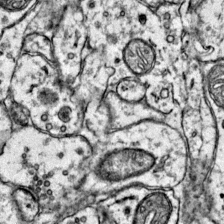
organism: Mouse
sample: Primary visual cortex